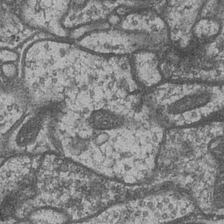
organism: Drosophila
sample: Optic medulla